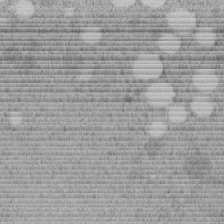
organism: C. elegans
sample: C. elegans embryo early stage